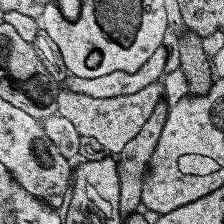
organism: Human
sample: Temporal Lobe